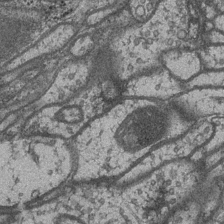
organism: Drosophila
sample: Optic medulla